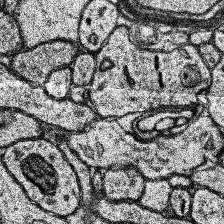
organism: Human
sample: Temporal Lobe